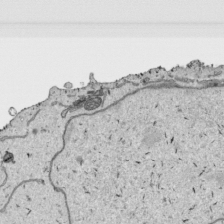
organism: Human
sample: Mitochondria in HCT116 cells